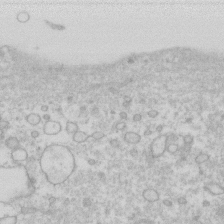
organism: Human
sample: Fibroblast cells